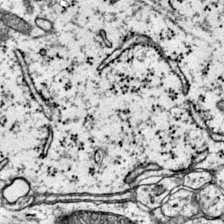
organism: Mouse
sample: Primary visual cortex